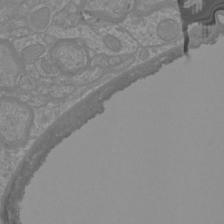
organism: Mouse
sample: Cortical neurons